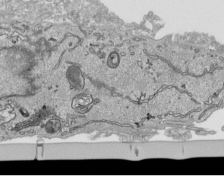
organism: Human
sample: Mitochondria in HCT116 cells